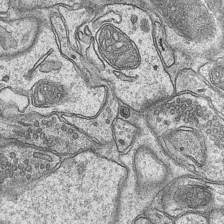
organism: Mouse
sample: CA1 Hippocampus